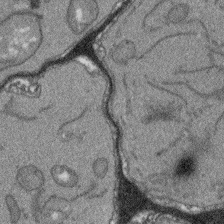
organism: Arabidopsis thaliana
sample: Root tip